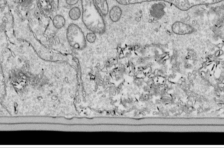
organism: Drosophila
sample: Cell division; meiosis; drosophila spermatocytes